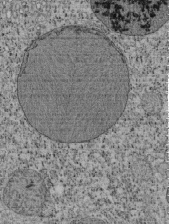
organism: Tetrahymena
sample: Cilia in tetrahymena